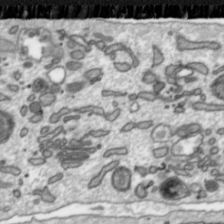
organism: Toxoplasma gondii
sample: Parasites in a vacuole inside a host cell